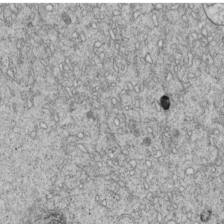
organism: C. elegans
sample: C. elegans embryo early stage